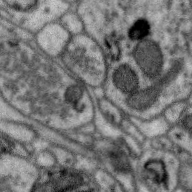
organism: Zebra finch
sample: Brain